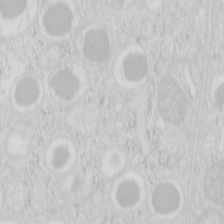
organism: Mouse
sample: Pancreas